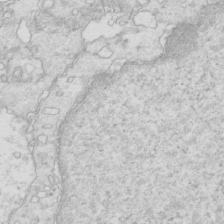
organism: Mouse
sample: Multiciliated cells